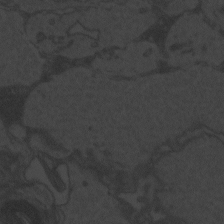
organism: Zebrafish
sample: Macrophage infected with Toxoplasma gondii